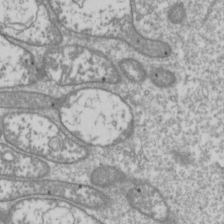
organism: Drosophila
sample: Cell division; meiosis; drosophila spermatocytes